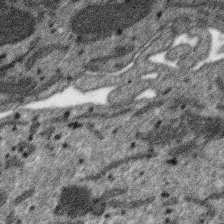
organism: Human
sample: Lung epithelial cells infected with SARS-CoV-2